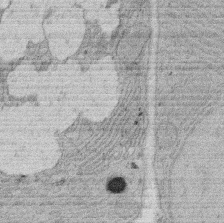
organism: Rat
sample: Salivary granule